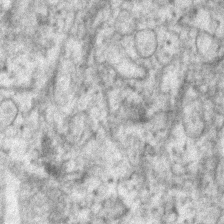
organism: Human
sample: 1205lu cells